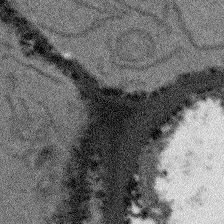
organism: Arabidopsis thaliana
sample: Root tip